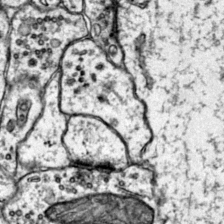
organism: Mouse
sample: Primary visual cortex